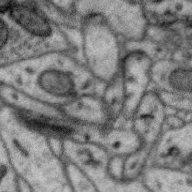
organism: Zebra finch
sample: Brain